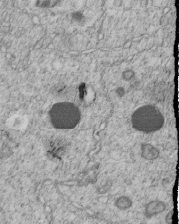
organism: C. elegans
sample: C. elegans embryo early stage